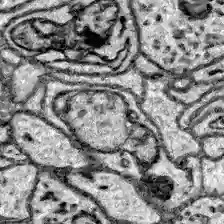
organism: Zebrafish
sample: Brain